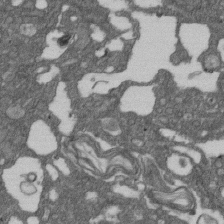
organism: Drosophila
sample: Nephrocyte